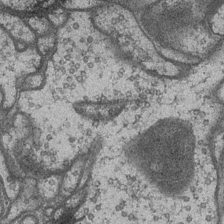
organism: Drosophila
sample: Optic medulla